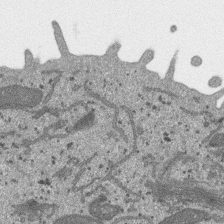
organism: Human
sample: Lung epithelial cells infected with SARS-CoV-2